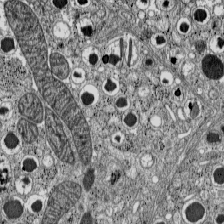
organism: C57BL Mouse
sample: Pancreatic islet